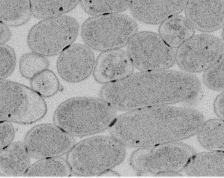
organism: E. coli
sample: Bacterial nucleoid